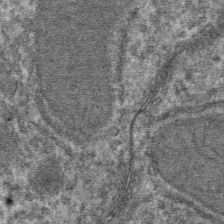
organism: Mouse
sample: Mouse hepatocytes